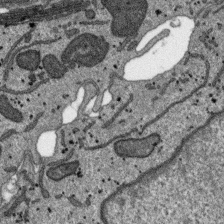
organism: Human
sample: Lung epithelial cells, uninfected (mock) control